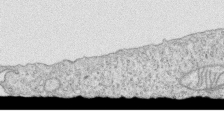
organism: Human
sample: HeLa cell HIV synapse